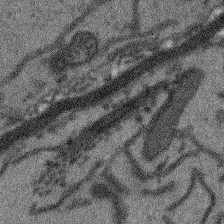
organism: Arabidopsis thaliana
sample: Root tip